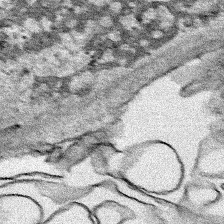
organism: Human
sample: Mitochondria in HCT116 cells